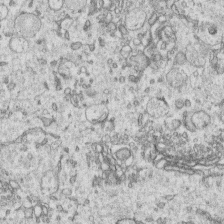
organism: Human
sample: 1205lu cells